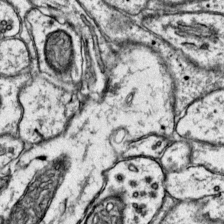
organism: Mouse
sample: Primary visual cortex